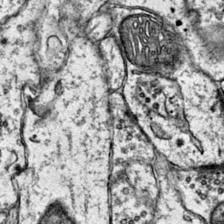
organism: Mouse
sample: Primary visual cortex